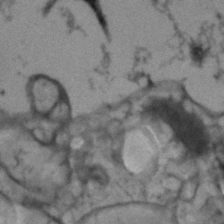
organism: Human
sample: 1205lu cells